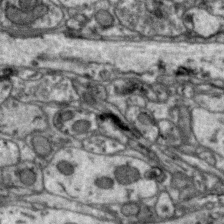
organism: Zebra finch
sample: Brain